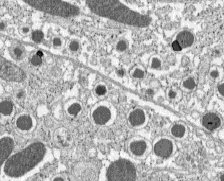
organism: C57BL Mouse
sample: Pancreatic islet